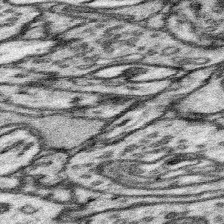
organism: Mouse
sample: Somatosensory cortex neuropil